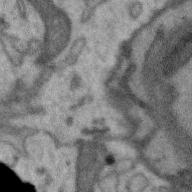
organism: Zebra finch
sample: Brain